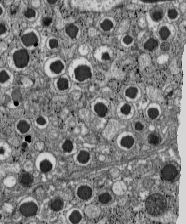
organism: C57BL Mouse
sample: Pancreatic islet